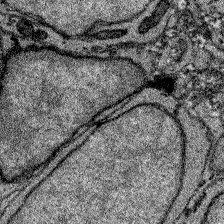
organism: Zebrafish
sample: Larval olfactory bulb